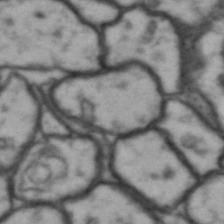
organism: Drosophila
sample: Brain